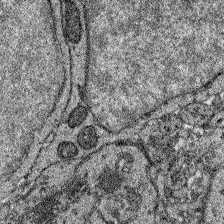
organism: Zebrafish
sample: Larval olfactory bulb